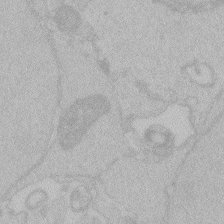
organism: Zebrafish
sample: Macrophage infected with Toxoplasma gondii